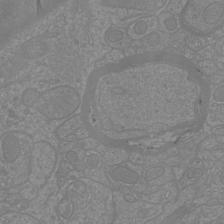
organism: Mouse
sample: Cortical neurons